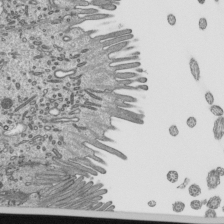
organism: Mouse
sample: Mouse epididymis efferent ductule cilia